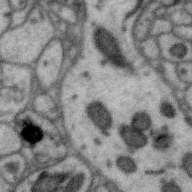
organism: Zebra finch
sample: Brain